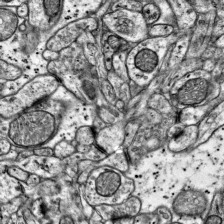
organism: Mouse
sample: Visual Cortex